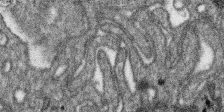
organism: Human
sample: Lung epithelial cells infected with SARS-CoV-2